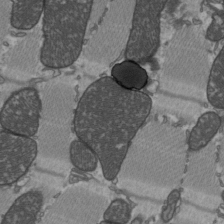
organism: C57BL Mouse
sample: Heart